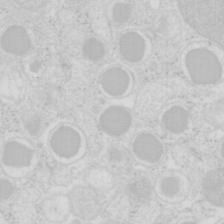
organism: Mouse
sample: Pancreas